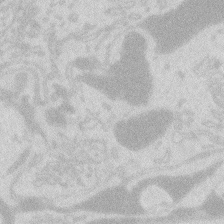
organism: Zebrafish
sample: Macrophage